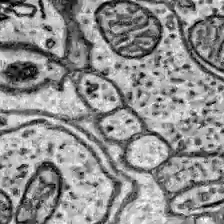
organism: Zebrafish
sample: Brain